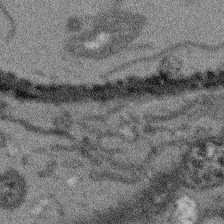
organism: Arabidopsis thaliana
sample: Root tip